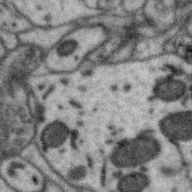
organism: Zebra finch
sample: Brain